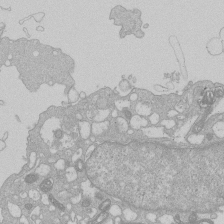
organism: Human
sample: Macrophage cells